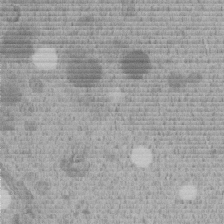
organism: C. elegans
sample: C. elegans embryo early stage